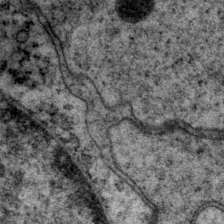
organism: P. pacificus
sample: Pharynx